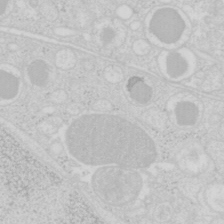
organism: Mouse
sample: Pancreas